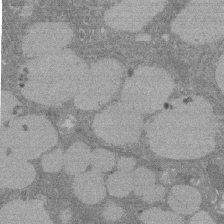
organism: Rat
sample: Salivary granule